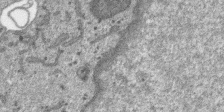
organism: Human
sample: Lung epithelial cells infected with SARS-CoV-2